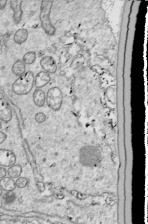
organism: Drosophila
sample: Cell division; meiosis; drosophila spermatocytes